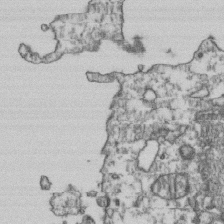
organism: Human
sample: Activated Jurkat CD4+ T cells